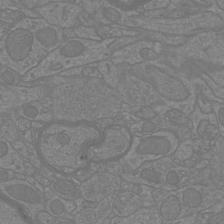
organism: Mouse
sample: Cortical neurons